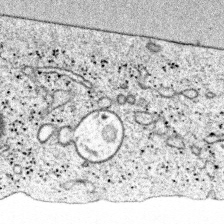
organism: Human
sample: HeLa cells